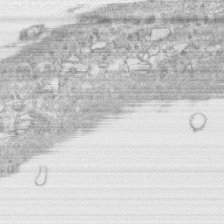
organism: Human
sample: CRL-1474